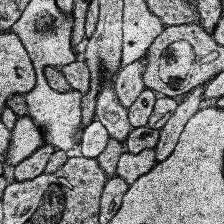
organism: Human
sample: Temporal Lobe